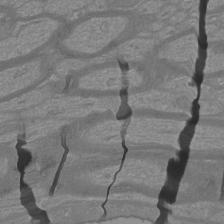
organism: Mouse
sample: Cortical neurons